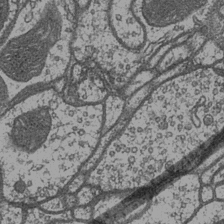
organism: Drosophila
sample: Optic medulla